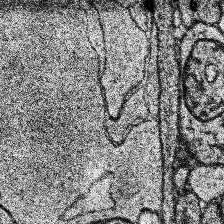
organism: Human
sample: Temporal Lobe